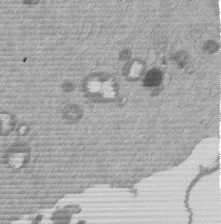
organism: Mouse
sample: Dividing mouse embryo 1 cell stage